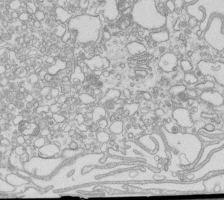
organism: Mouse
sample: Macrophages